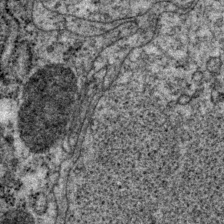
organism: P. pacificus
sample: Pharynx